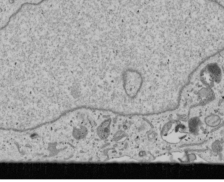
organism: Human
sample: Mitochondria in U2OS cells